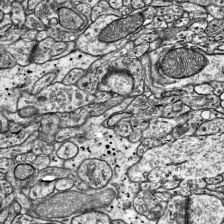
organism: Mouse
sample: Visual Cortex